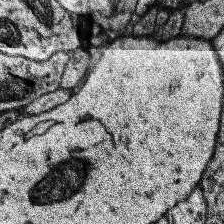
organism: Human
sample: Temporal Lobe